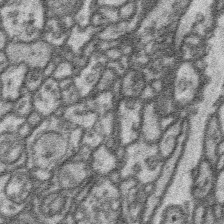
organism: Platynereis dumerilii